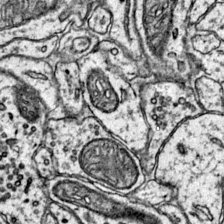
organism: Mouse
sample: Primary visual cortex